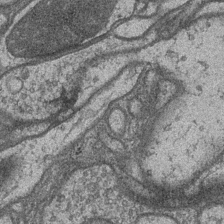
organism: Drosophila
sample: Optic medulla